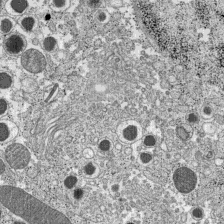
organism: C57BL Mouse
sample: Pancreatic islet